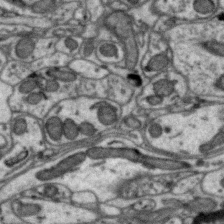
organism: Zebra finch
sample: Brain